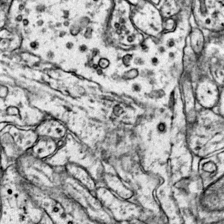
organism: Mouse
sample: Primary visual cortex